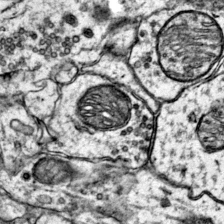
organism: Mouse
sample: Primary visual cortex